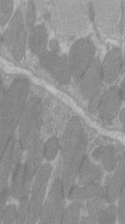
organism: C57BL Mouse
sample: Tibialis anterior muscle cell